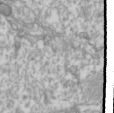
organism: Drosophila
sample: Cell division; meiosis; drosophila spermatocytes